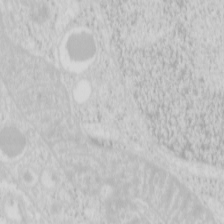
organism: Mouse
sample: Pancreas